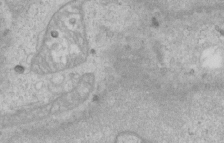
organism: Human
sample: Centriole in RPE cells